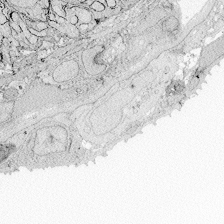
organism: Zebrafish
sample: Whole-Brain